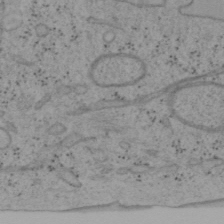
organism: Human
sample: HeLa cells